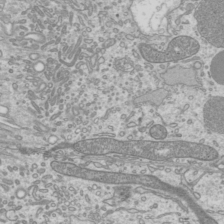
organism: Mouse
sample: Cilia; mouse epididymis